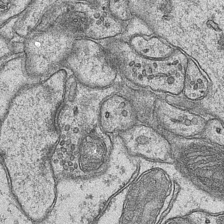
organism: Mouse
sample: CA1 Hippocampus